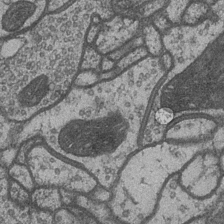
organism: Drosophila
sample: Optic medulla